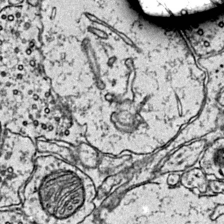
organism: Mouse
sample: Primary visual cortex